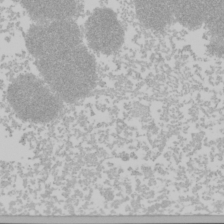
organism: Mouse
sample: Cancer cell death in ED-1 cells